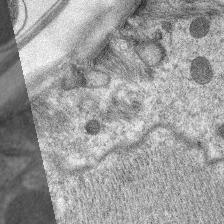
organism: C. elegans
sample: Pharynx